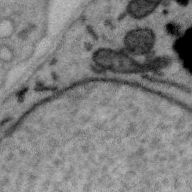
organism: Zebra finch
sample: Brain